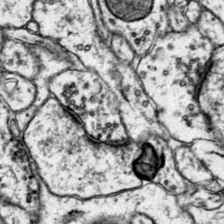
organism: Mouse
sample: Primary visual cortex